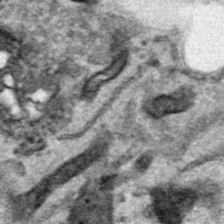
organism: Human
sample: Mitochondria in HCT116 cells